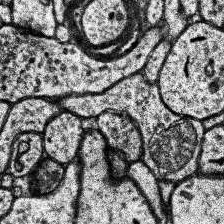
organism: Human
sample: Temporal Lobe